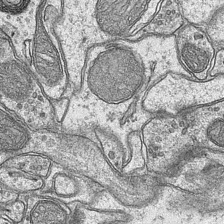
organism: Mouse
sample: CA1 Hippocampus